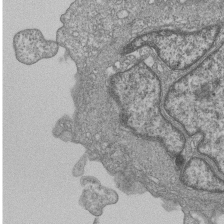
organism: Human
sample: MDA-MB-231 cells